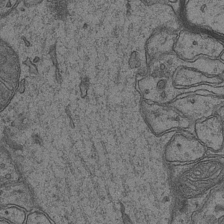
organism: Mouse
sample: CA1 Hippocampus